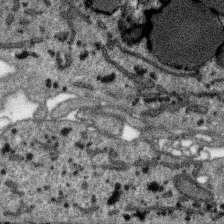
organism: Human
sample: Lung epithelial cells infected with SARS-CoV-2